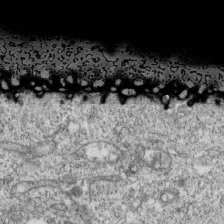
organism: Human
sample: HeLa cell HIV synapse